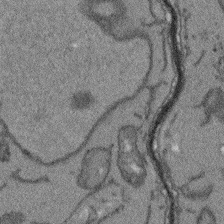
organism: Arabidopsis thaliana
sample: Root tip